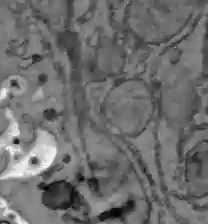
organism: C57BL Mouse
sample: Liver